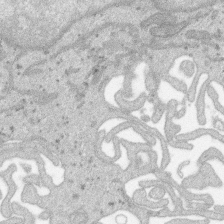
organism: Human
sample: Lung epithelial cells infected with SARS-CoV-2